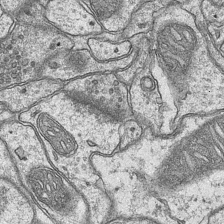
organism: Mouse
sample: CA1 Hippocampus